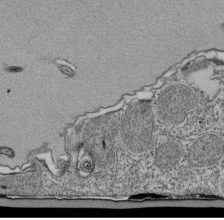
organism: Tetrahymena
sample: Cilia in tetrahymena